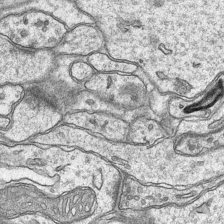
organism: Mouse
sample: CA1 Hippocampus